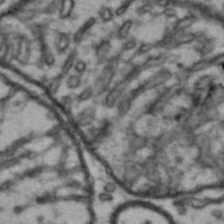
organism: Drosophila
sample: Brain